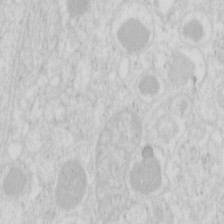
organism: Mouse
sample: Pancreas